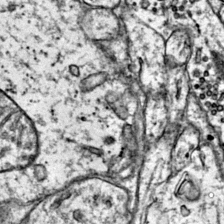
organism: Mouse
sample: Primary visual cortex